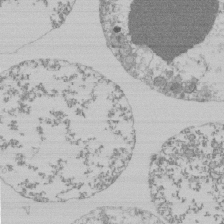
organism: Mouse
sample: Activated Pmel transgenic CD8+ T Cells